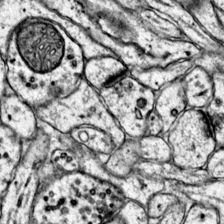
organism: Mouse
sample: Primary visual cortex